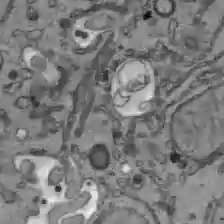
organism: C57BL Mouse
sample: Liver